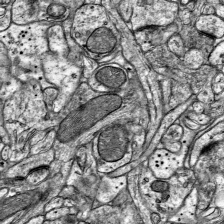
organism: Mouse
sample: Visual Cortex